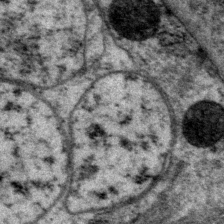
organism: P. pacificus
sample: Pharynx